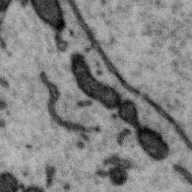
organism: Zebra finch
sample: Brain